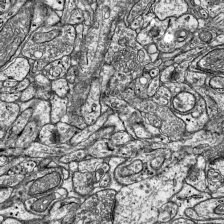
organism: Mouse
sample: Visual Cortex